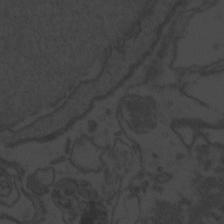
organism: Zebrafish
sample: Macrophage infected with Toxoplasma gondii